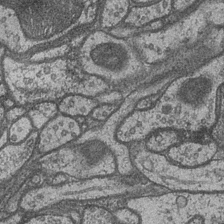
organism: Drosophila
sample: Optic medulla